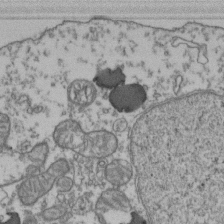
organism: Human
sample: Activated Jurkat CD4+ T cells